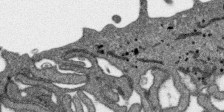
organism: Human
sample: Lung epithelial cells, uninfected (mock) control